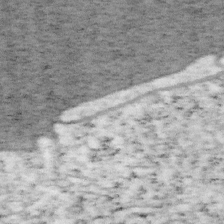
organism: Mouse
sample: OT-I killer T cells with ID8 ovarian cancer cells